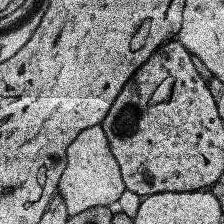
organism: Human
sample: Temporal Lobe